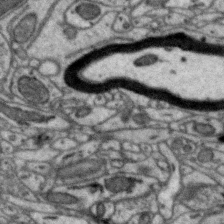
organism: Zebra finch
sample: Brain